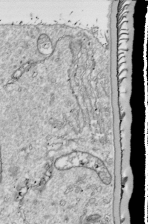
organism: Drosophila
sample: Cell division; meiosis; drosophila spermatocytes